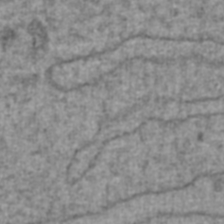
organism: Human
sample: Blood